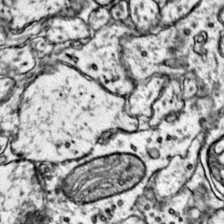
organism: Mouse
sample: Primary visual cortex